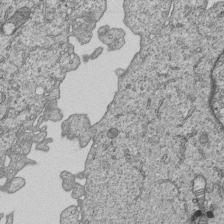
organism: Human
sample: MDA-MB-231 cells